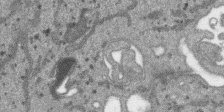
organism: Human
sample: Lung epithelial cells infected with SARS-CoV-2